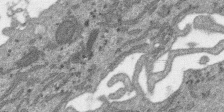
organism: Human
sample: Lung epithelial cells infected with SARS-CoV-2